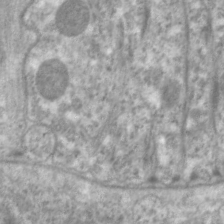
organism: C. elegans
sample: Pharynx